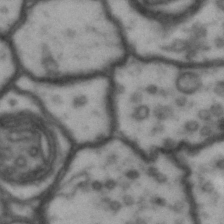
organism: Drosophila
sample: Brain